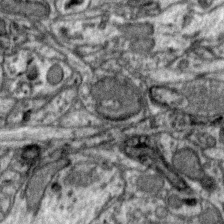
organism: Zebra finch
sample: Brain